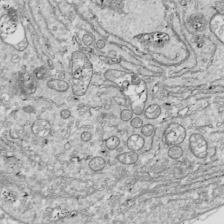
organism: Drosophila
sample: Cell division; meiosis; drosophila spermatocytes